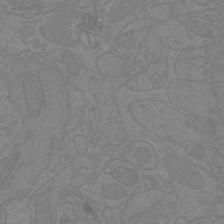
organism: Mouse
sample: Cortical neurons